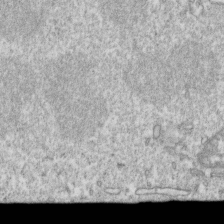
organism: Mouse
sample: Activated OT-1 CD8+ T cells